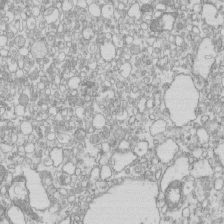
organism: Mouse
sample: Macrophages